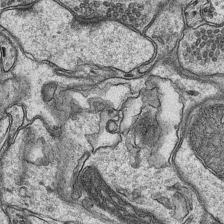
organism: Mouse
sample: CA1 Hippocampus